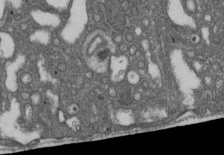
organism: Drosophila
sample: Nephrocyte